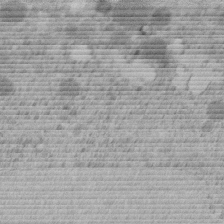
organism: C. elegans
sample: C. elegans embryo early stage